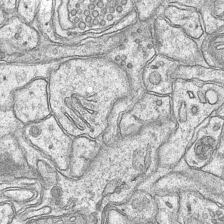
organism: Mouse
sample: CA1 Hippocampus